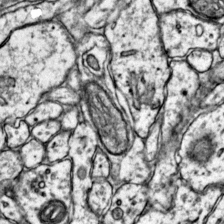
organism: Mouse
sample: Primary visual cortex